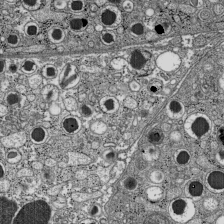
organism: C57BL Mouse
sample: Pancreatic islet